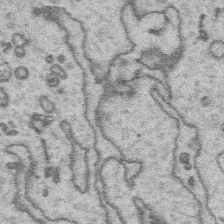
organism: Platynereis dumerilii